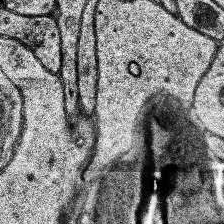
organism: Human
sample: Temporal Lobe